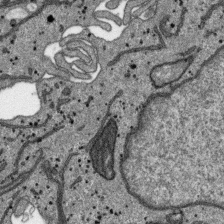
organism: Human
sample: Lung epithelial cells, uninfected (mock) control